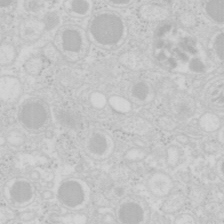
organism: Mouse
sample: Pancreas